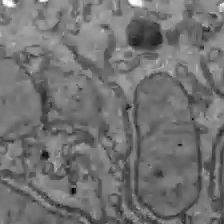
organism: C57BL Mouse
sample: Liver